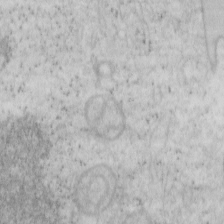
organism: Human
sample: HeLa cells